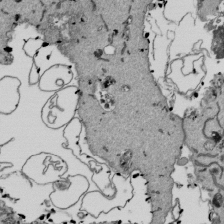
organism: Mouse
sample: ED-1 cell nuclei; centrioles